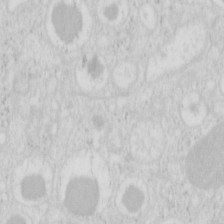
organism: Mouse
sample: Pancreas